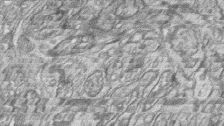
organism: Zebrafish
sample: synaptic ribbons in rod cells and cone cells